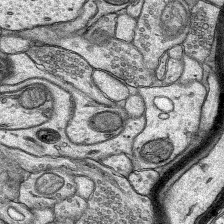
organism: Rat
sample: Hippocampus